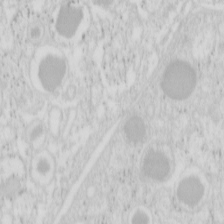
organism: Mouse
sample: Pancreas